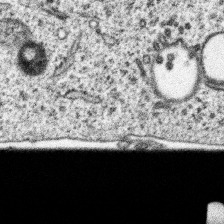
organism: Human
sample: HeLa cells